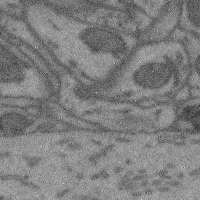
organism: Mouse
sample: Cerebral cortex